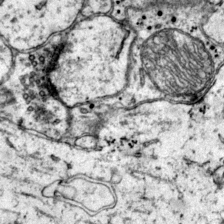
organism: Mouse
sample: Primary visual cortex